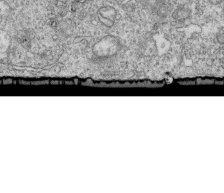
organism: Human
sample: HeLa cell HIV synapse